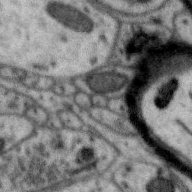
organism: Zebra finch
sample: Brain